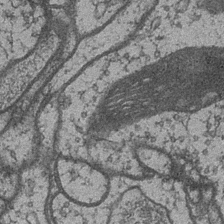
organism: Drosophila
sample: Optic medulla